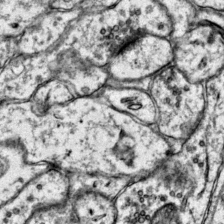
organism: Mouse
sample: Primary visual cortex